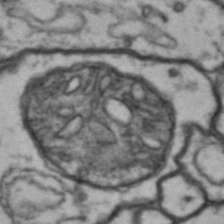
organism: Drosophila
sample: Brain